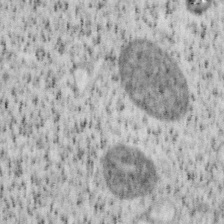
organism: Mouse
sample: OT-I killer T cells with ID8 ovarian cancer cells